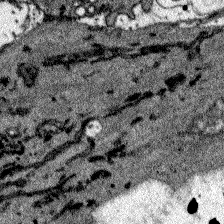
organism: Zebrafish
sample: Larval olfactory bulb